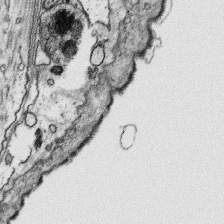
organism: Platynereis dumerilii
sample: Parapodia